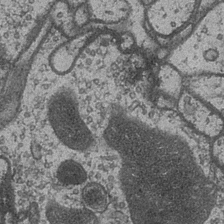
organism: Drosophila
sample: Optic medulla